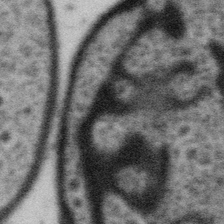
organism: Gemmata obscuriglobus